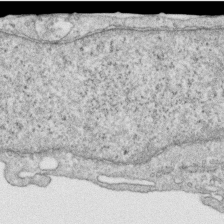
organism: Human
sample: Centriole in RPE cells